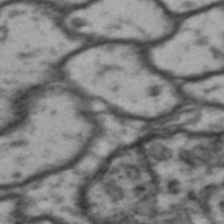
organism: Drosophila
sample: Brain